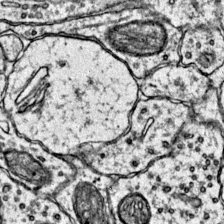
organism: Mouse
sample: Primary visual cortex